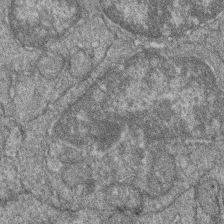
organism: Zebrafish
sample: Cilia; retinal pigment epithelium